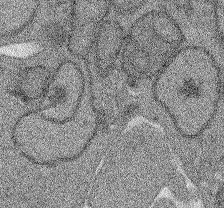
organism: Human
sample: HeLa cells